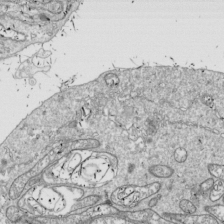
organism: Drosophila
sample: Cell division; meiosis; drosophila spermatocytes